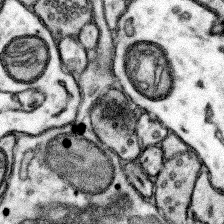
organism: Mouse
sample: Somatosensory cortex neuropil